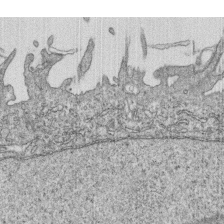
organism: Human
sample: HeLa cell HIV synapse